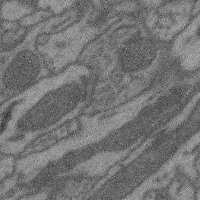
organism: Mouse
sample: Cerebral cortex